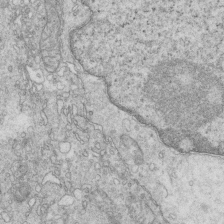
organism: Mouse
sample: Multiciliated cells